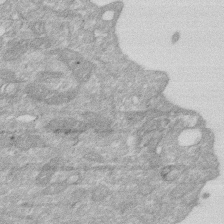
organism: Human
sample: HIV infected U937 cells